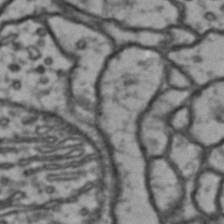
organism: Drosophila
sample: Brain